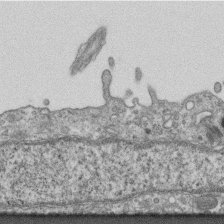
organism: Mouse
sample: Centriole in ependymal cells